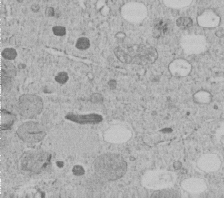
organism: C. elegans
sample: C. elegans embryo early stage